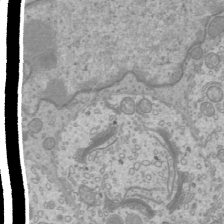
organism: Mouse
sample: Cilia; mouse epididymis